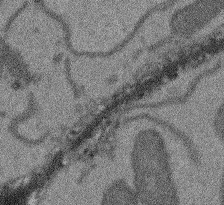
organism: Arabidopsis thaliana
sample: Root tip